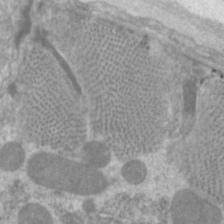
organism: C. elegans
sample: Pharynx